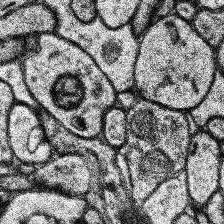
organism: Human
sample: Temporal Lobe